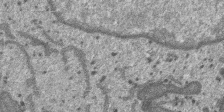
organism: Human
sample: Lung epithelial cells infected with SARS-CoV-2